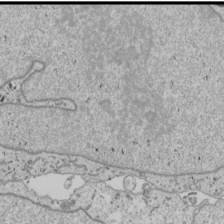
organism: Human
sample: Mitochondria in U2OS cells